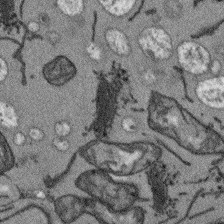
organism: Arabidopsis thaliana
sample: Root tip